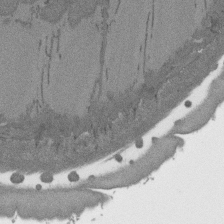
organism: C. elegans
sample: AFD neurons C. elegans